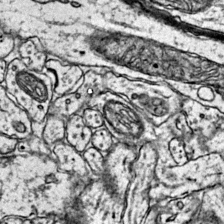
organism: Mouse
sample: Primary visual cortex